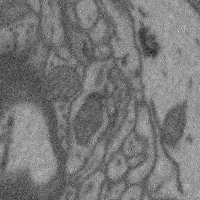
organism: Mouse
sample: Cerebral cortex